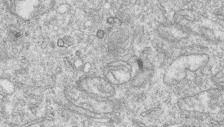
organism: Human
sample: HeLa cell HIV synapse